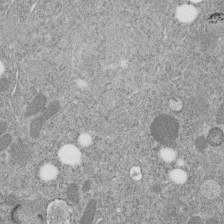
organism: C. elegans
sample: C. elegans embryo early stage